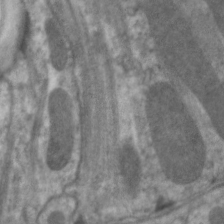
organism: C. elegans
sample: Pharynx